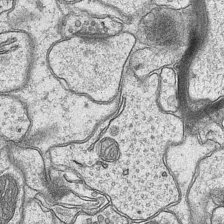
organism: Mouse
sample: CA1 Hippocampus